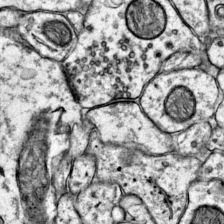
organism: Mouse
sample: Primary visual cortex